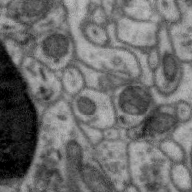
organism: Zebra finch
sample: Brain